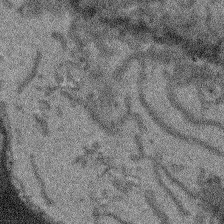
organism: Arabidopsis thaliana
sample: Root tip